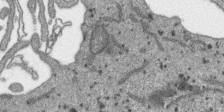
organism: Human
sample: Lung epithelial cells infected with SARS-CoV-2